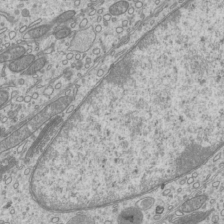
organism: Mouse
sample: Cilia; mouse epididymis